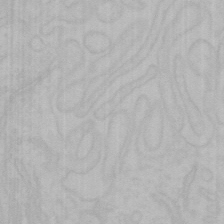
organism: Mouse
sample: Choroid plexus